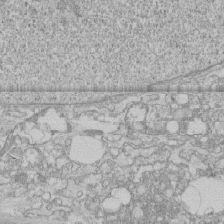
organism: Human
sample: CRL-1474